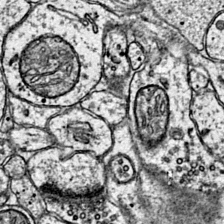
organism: Mouse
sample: Primary visual cortex